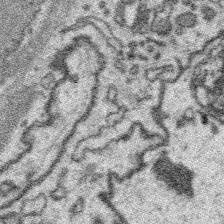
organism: Platynereis dumerilii